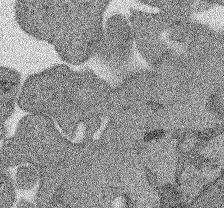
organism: Human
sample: HeLa cells